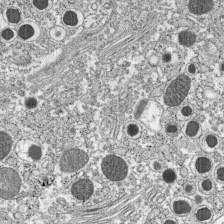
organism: C57BL Mouse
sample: Pancreatic islet